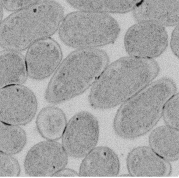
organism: E. coli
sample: Bacterial nucleoid